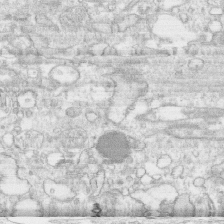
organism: Human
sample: CRL-1474